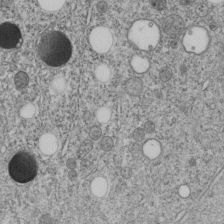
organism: C. elegans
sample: C. elegans embryo early stage